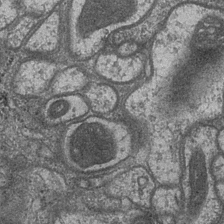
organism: Drosophila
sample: Optic medulla